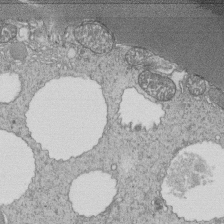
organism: Tetrahymena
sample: Cilia in tetrahymena